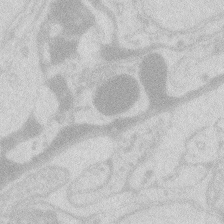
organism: Zebrafish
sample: Macrophage